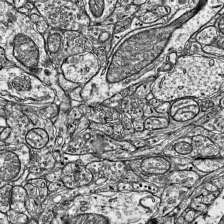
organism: Mouse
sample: Visual Cortex